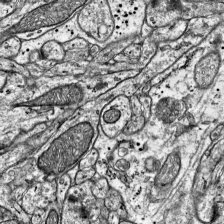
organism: Mouse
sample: Visual Cortex